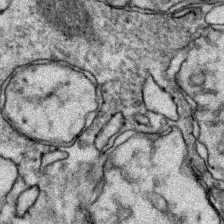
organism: Zebrafish